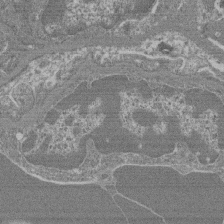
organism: Mouse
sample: Glomerulus